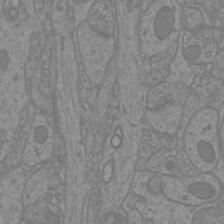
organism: Mouse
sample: Cortical neurons